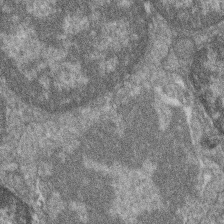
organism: Zebrafish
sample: Cilia; retinal pigment epithelium